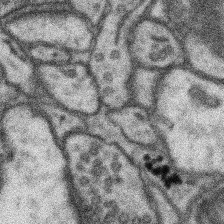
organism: Mouse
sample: Somatosensory cortex neuropil